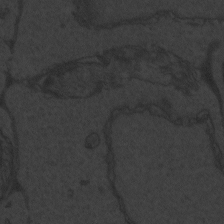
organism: Zebrafish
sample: Macrophage infected with Toxoplasma gondii